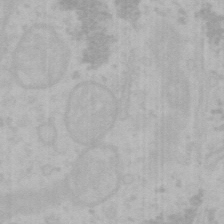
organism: Mouse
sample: Choroid plexus